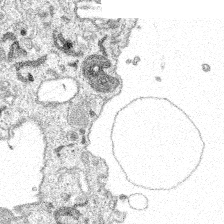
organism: Spongilla lacustris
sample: Multiple